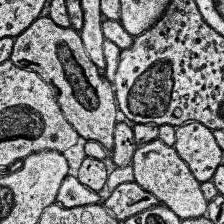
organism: Human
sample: Temporal Lobe